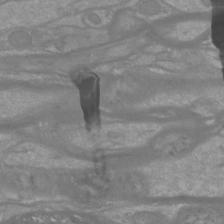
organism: Mouse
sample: Cortical neurons